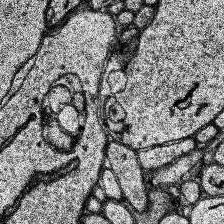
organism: Human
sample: Temporal Lobe